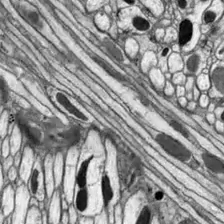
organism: Drosophila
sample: Optic lobe